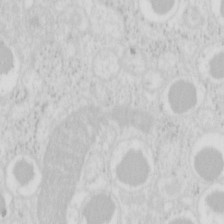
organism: Mouse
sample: Pancreas